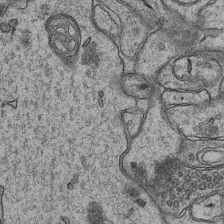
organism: Mouse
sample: CA1 Hippocampus